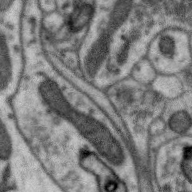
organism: Zebra finch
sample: Brain